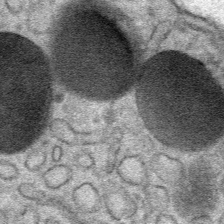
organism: Mouse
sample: Mouse Salivary gland